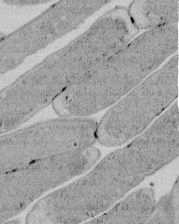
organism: E. coli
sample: Bacterial nucleoid